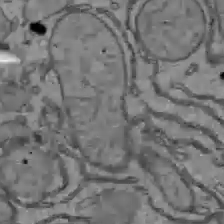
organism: C57BL Mouse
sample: Liver